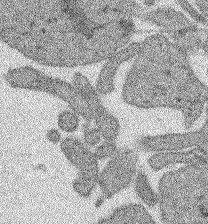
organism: Human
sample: HeLa cells